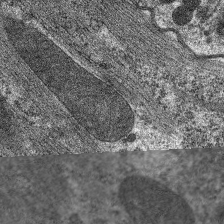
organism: C. elegans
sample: Pharynx